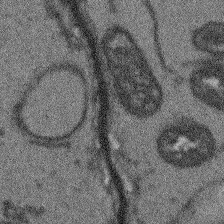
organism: Arabidopsis thaliana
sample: Root tip